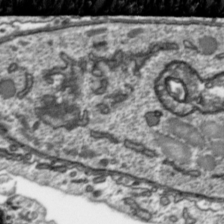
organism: Toxoplasma gondii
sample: Parasites in a vacuole inside a host cell